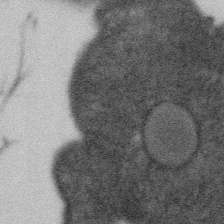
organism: Gemmata obscuriglobus